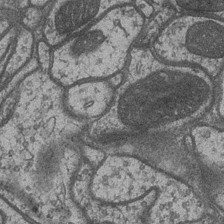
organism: Drosophila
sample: Optic medulla